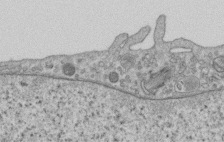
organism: Human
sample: Centriole in RPE cells